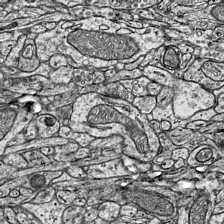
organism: Mouse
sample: Visual Cortex